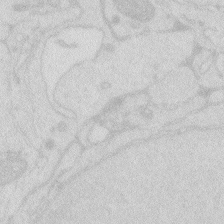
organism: Zebrafish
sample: Macrophage